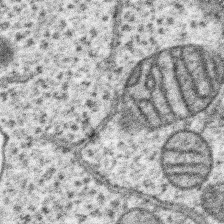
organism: Human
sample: HeLa cells